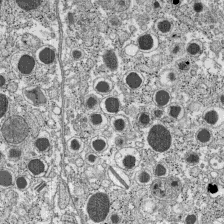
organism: C57BL Mouse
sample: Pancreatic islet